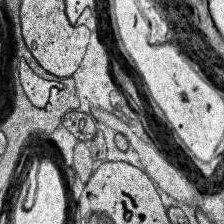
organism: Human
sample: Temporal Lobe